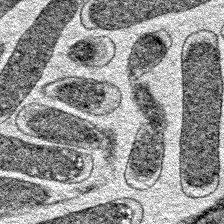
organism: E. coli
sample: E. Coli Bacteria